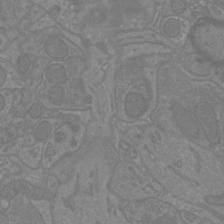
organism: Mouse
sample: Cortical neurons